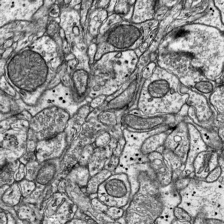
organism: Mouse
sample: Visual Cortex